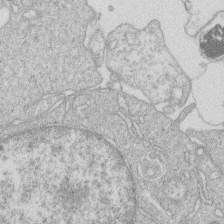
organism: Human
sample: Macrophage cells